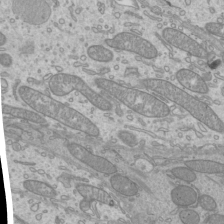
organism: Mouse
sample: Cilia; mouse epididymis